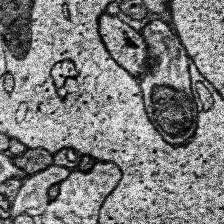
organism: Human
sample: Temporal Lobe